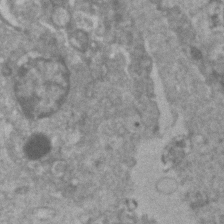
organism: Human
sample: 1205lu cells